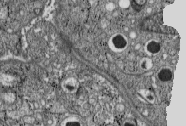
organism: C57BL Mouse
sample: Pancreatic islet